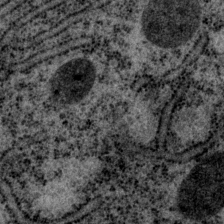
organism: P. pacificus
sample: Pharynx